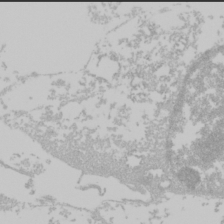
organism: Mouse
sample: Cancer cell death in ED-1 cells